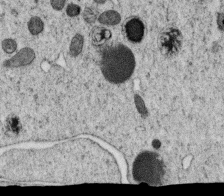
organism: C. elegans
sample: C. elegans oocyte; sperm cells